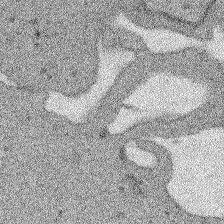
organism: Human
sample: HeLa cells